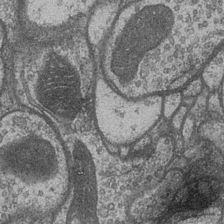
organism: Drosophila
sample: Optic medulla